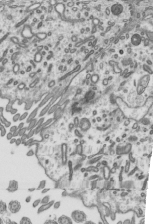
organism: Mouse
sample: Mouse epididymis efferent ductule cilia